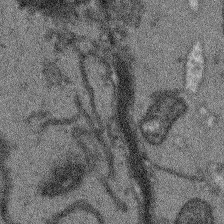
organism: Arabidopsis thaliana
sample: Root tip